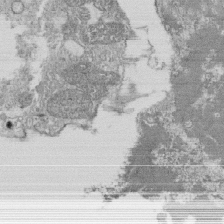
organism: Tetrahymena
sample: Cilia in tetrahymena